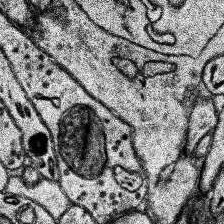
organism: Human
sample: Temporal Lobe